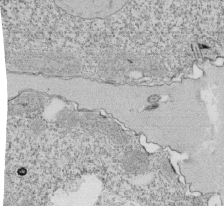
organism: Tetrahymena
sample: Cilia in tetrahymena